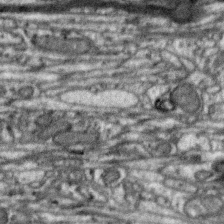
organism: Zebra finch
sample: Brain